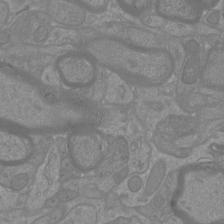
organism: Mouse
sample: Cortical neurons